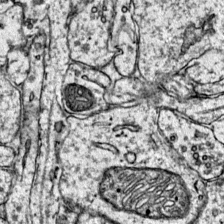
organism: Mouse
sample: Primary visual cortex